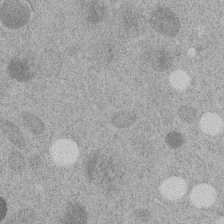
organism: C. elegans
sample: C. elegans embryo early stage